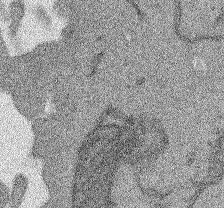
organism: Human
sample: HeLa cells